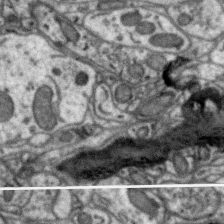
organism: Zebra finch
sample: Brain